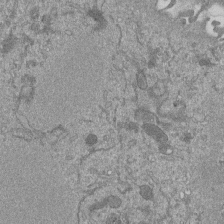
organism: Mouse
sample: ED-1 cell nuclei; centrioles